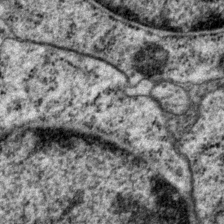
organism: P. pacificus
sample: Pharynx